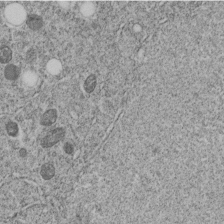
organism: C. elegans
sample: C. elegans embryo early stage